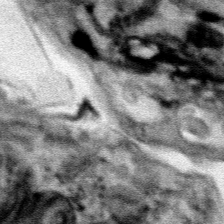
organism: Human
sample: Mitochondria in HCT116 cells